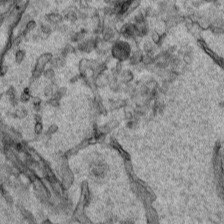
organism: Human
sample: Mitochondria in HCT116 cells